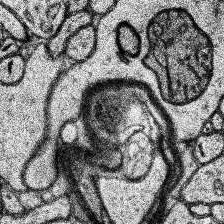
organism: Human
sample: Temporal Lobe